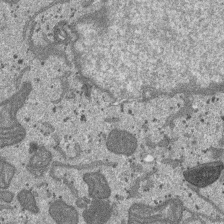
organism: Human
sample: Lung epithelial cells infected with SARS-CoV-2